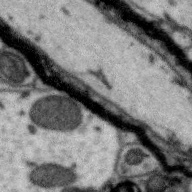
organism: Zebra finch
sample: Brain